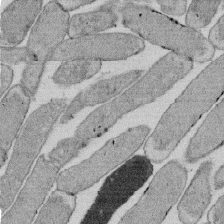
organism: E. coli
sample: Bacterial nucleoid